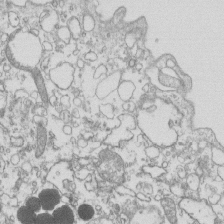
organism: Mouse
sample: Macrophages